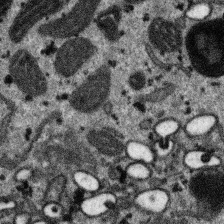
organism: Human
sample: Lung epithelial cells infected with SARS-CoV-2